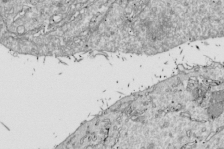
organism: Drosophila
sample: Cell division; meiosis; drosophila spermatocytes